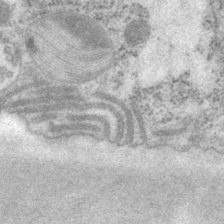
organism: P. pacificus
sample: Pharynx